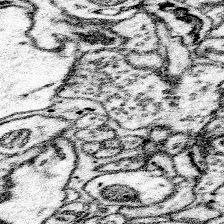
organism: Mouse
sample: Somatosensory cortex neuropil